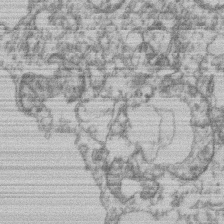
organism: Mouse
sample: T cell stromal cell synapse